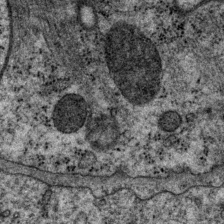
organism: P. pacificus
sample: Pharynx